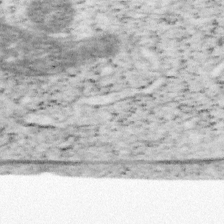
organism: Mouse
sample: OT-I killer T cells with ID8 ovarian cancer cells